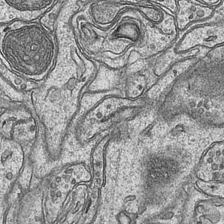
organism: Mouse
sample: CA1 Hippocampus